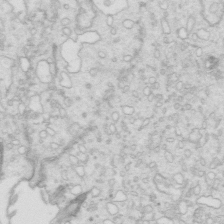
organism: Mouse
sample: Multiciliated cells